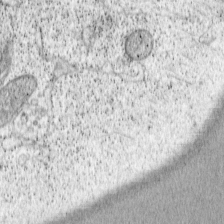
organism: African green monkey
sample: COS-7 cells